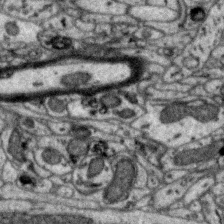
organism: Zebra finch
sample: Brain